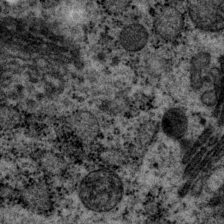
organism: P. pacificus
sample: Pharynx